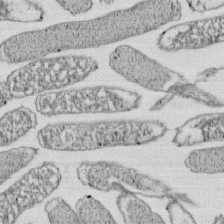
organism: E. coli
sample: Bacterial nucleoid